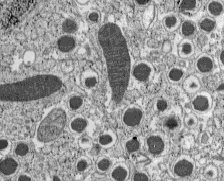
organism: C57BL Mouse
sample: Pancreatic islet